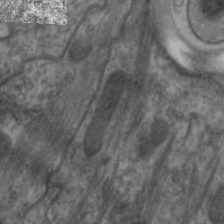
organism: C. elegans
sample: Pharynx